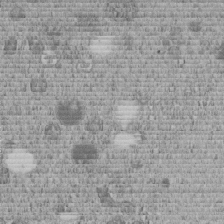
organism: C. elegans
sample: C. elegans embryo early stage